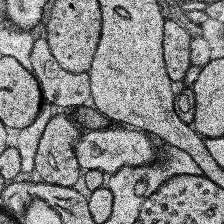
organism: Human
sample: Temporal Lobe